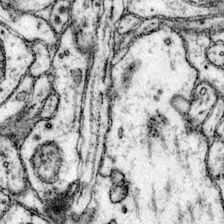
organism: Mouse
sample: Primary visual cortex